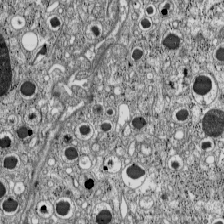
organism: C57BL Mouse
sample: Pancreatic islet